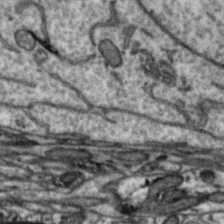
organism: Zebra finch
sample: Brain